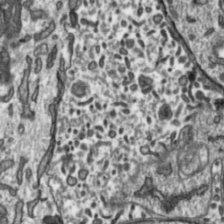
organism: Toxoplasma gondii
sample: Parasites in a vacuole inside a host cell